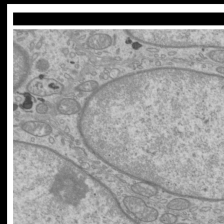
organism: Mouse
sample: Cilia; mouse epididymis